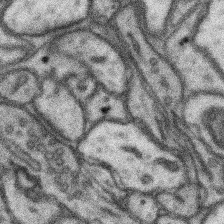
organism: Mouse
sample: Somatosensory cortex neuropil